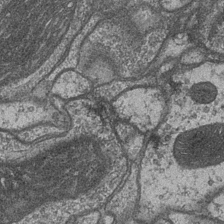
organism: Drosophila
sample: Optic medulla